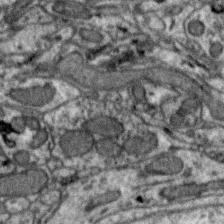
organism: Zebra finch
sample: Brain